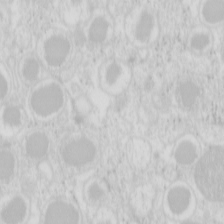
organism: Mouse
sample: Pancreas